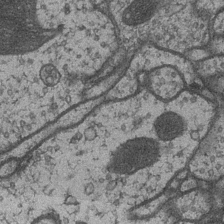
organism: Drosophila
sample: Optic medulla